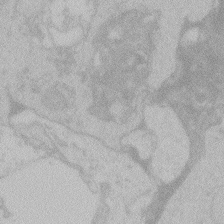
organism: Zebrafish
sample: Macrophage infected with Toxoplasma gondii